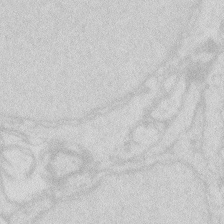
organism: Zebrafish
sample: Macrophage